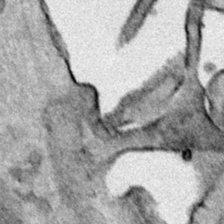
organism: Human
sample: Mitochondria in HCT116 cells